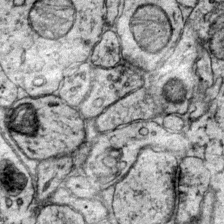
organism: Mouse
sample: Primary visual cortex